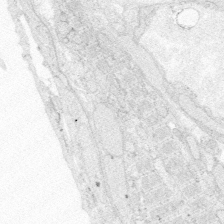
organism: Zebrafish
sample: Whole-Brain